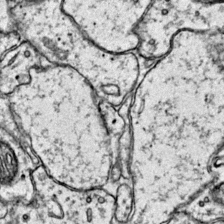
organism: Mouse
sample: Primary visual cortex